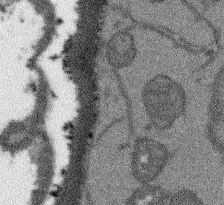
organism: Arabidopsis thaliana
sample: Root tip